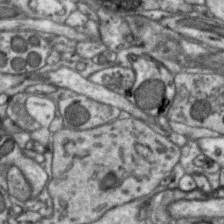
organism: Zebra finch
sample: Brain